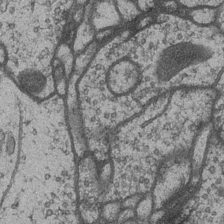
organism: Drosophila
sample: Optic medulla